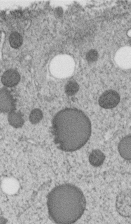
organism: C. elegans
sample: C. elegans embryo early stage